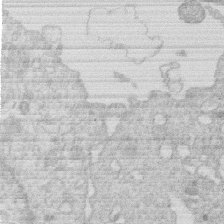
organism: Human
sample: Macrophage cells